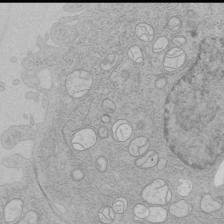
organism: Human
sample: Mitochondria in HCT116 cells